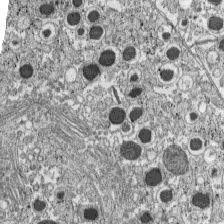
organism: C57BL Mouse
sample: Pancreatic islet